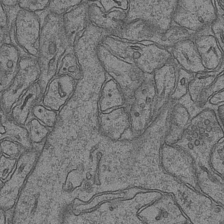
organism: Mouse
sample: CA1 Hippocampus